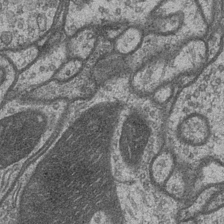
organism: Drosophila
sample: Optic medulla